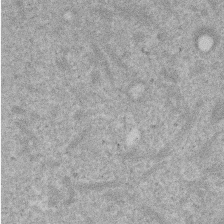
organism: Mouse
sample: Dividing mouse embryo 1 cell stage